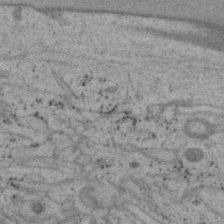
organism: Human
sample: HeLa cells